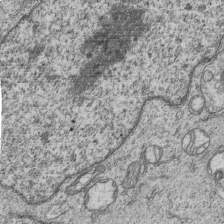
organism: Human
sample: MDA-MB-231 cells